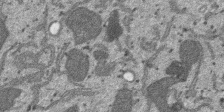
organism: Human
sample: Lung epithelial cells infected with SARS-CoV-2